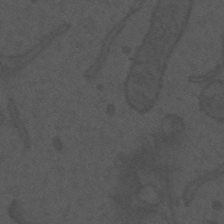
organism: Mouse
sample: Suprachiasmatic nucleus